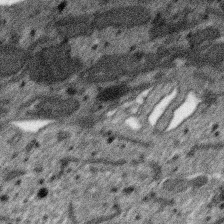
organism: Human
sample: Lung epithelial cells infected with SARS-CoV-2